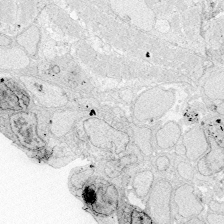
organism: Zebrafish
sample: Whole-Brain